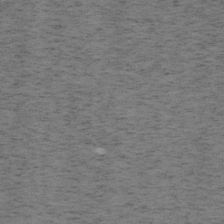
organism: Mouse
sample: OT-I killer T cells with ID8 ovarian cancer cells